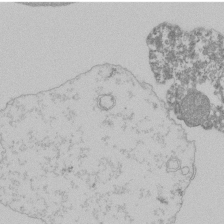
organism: Mouse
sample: Activated Pmel transgenic CD8+ T Cells